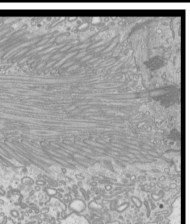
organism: Mouse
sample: Cilia; mouse epididymis